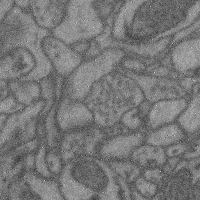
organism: Mouse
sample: Cerebral cortex